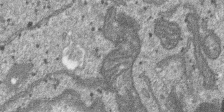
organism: Human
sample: Lung epithelial cells infected with SARS-CoV-2